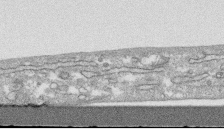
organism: Human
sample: CRL-1474